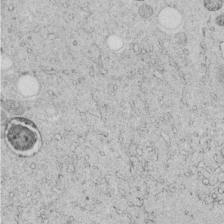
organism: C. elegans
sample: C. elegans embryo early stage